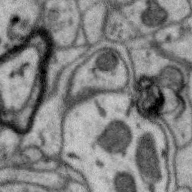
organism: Zebra finch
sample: Brain